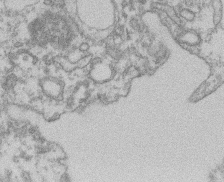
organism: Mouse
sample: T cell stromal cell synapse